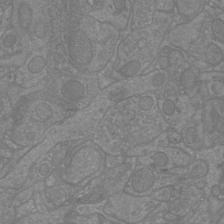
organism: Mouse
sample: Cortical neurons